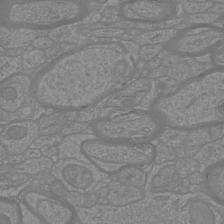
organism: Mouse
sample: Cortical neurons